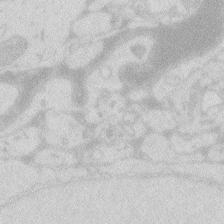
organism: Zebrafish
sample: Macrophage